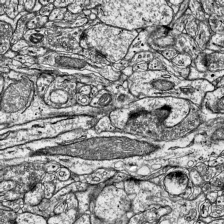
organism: Mouse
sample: Visual Cortex